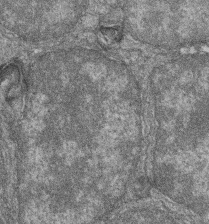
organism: Zebrafish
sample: Cilia; retinal pigment epithelium